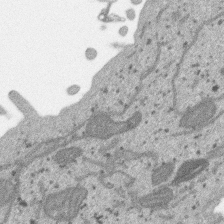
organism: Human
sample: Lung epithelial cells infected with SARS-CoV-2